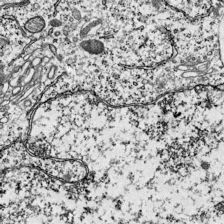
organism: Mouse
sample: Visual Cortex